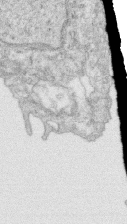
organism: Human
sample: HeLa cell HIV synapse